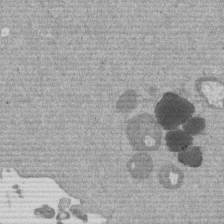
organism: Mouse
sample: Dividing mouse embryo 1 cell stage